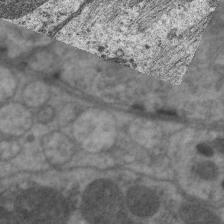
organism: C. elegans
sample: Pharynx